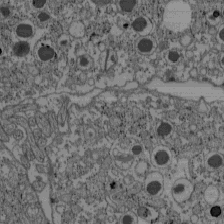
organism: C57BL Mouse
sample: Pancreatic islet